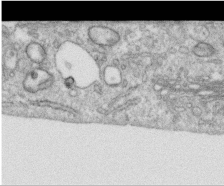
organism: Human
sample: Centriole in RPE cells